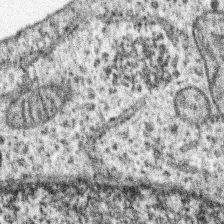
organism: Human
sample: HeLa cells